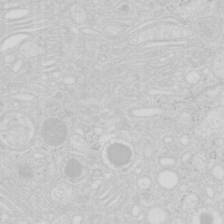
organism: Mouse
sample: Pancreas